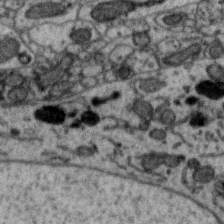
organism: Zebra finch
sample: Brain